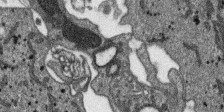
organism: Human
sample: Lung epithelial cells infected with SARS-CoV-2